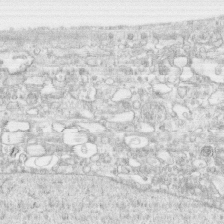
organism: Human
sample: CRL-1474